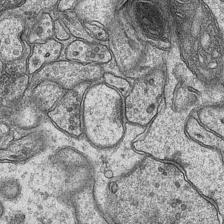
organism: Mouse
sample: CA1 Hippocampus